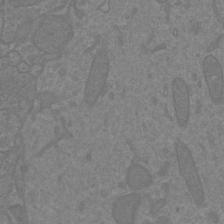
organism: Mouse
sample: Cortical neurons